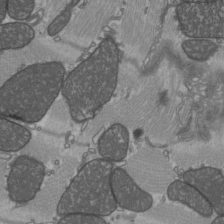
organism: C57BL Mouse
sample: Heart